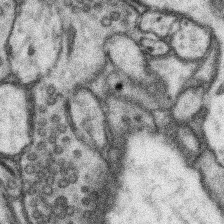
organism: Mouse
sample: Somatosensory cortex neuropil